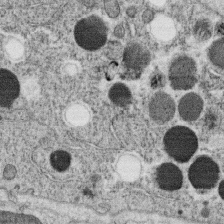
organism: C. elegans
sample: C. elegans oocyte; sperm cells